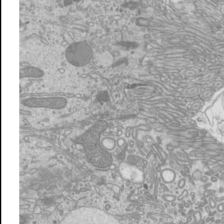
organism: Mouse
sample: Cilia; mouse epididymis